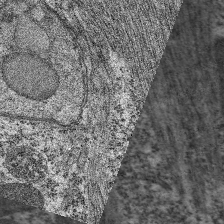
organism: C. elegans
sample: Pharynx